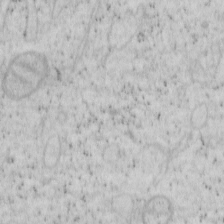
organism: Human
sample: HeLa cells